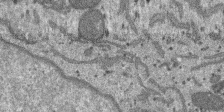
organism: Human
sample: Lung epithelial cells infected with SARS-CoV-2